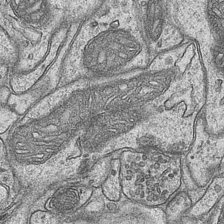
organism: Mouse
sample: CA1 Hippocampus